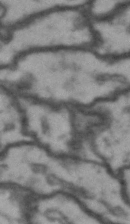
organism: Drosophila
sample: Brain